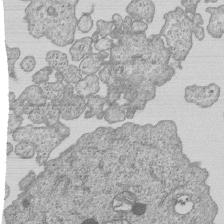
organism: Human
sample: MDA-MB-231 cells